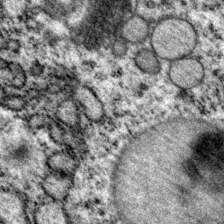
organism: P. pacificus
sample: Pharynx